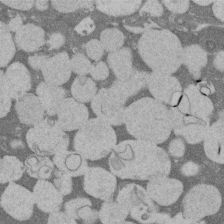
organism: Rat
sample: Salivary granule